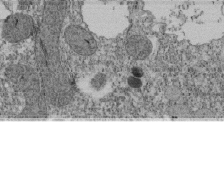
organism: Tetrahymena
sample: Cilia in tetrahymena